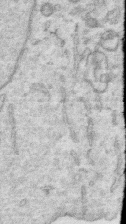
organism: Human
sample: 1205lu cells